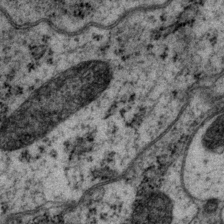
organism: P. pacificus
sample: Pharynx